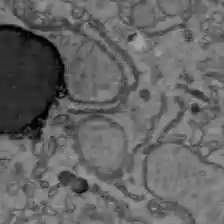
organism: C57BL Mouse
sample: Liver